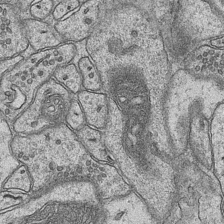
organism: Mouse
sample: CA1 Hippocampus